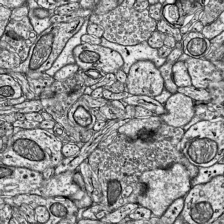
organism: Mouse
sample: Visual Cortex